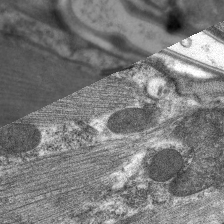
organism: C. elegans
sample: Pharynx